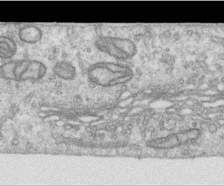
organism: Human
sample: Centriole in RPE cells